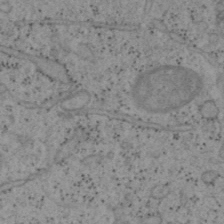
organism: Human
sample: HeLa cells